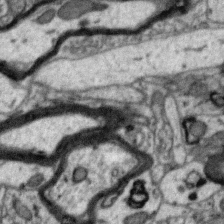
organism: Zebra finch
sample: Brain